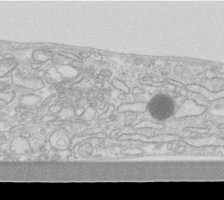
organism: Human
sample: Fibroblast cells